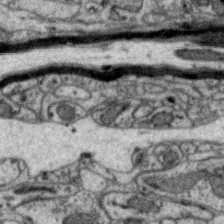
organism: Zebra finch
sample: Brain